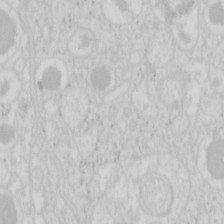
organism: Mouse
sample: Pancreas